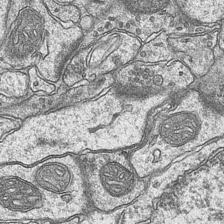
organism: Mouse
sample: CA1 Hippocampus